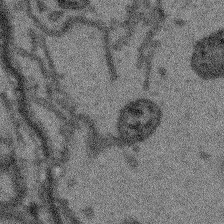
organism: Arabidopsis thaliana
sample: Root tip